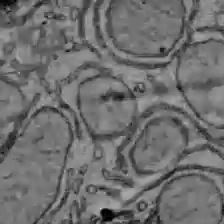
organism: C57BL Mouse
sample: Liver